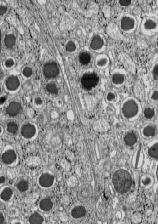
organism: C57BL Mouse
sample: Pancreatic islet